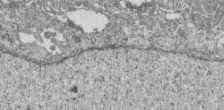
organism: Human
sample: HeLa cell HIV synapse